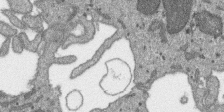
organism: Human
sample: Lung epithelial cells infected with SARS-CoV-2